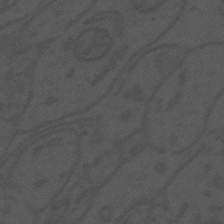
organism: Mouse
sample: Suprachiasmatic nucleus